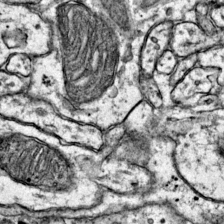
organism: Mouse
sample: Primary visual cortex